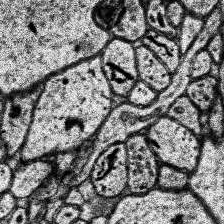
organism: Human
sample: Temporal Lobe